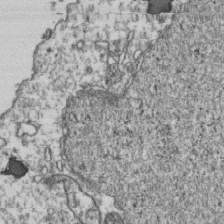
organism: Human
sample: Activated Jurkat CD4+ T cells